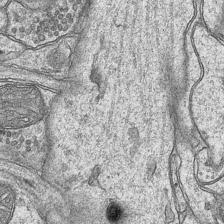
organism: Mouse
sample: CA1 Hippocampus